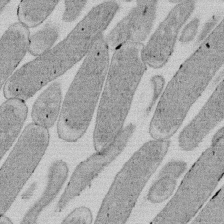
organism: E. coli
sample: Bacterial nucleoid